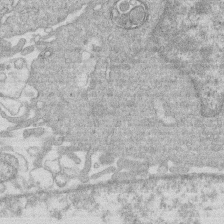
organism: Human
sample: Macrophage cells